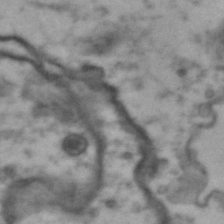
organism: Drosophila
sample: Brain